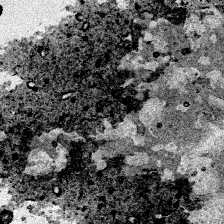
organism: Human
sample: Mitochondria in HCT116 cells